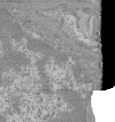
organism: Mouse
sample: Glomerulus